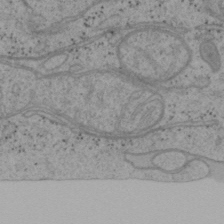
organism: Human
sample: HeLa cells